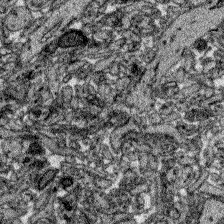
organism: Zebrafish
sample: Larval olfactory bulb